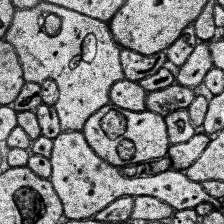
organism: Human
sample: Temporal Lobe